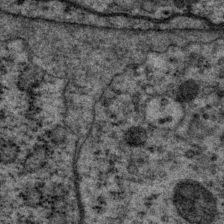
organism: P. pacificus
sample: Pharynx